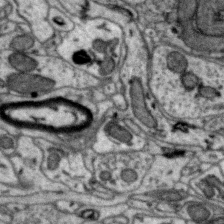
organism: Zebra finch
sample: Brain